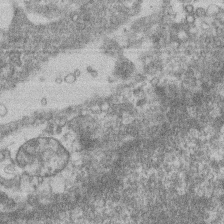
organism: Mouse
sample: T cell stromal cell synapse